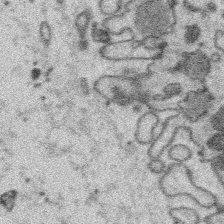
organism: Platynereis dumerilii